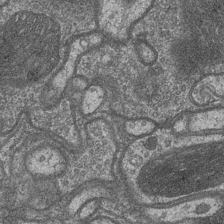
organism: Drosophila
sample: Optic medulla